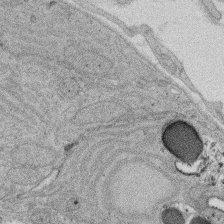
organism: Rat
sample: Salivary granule